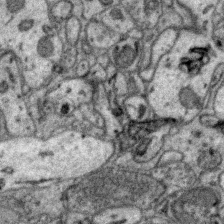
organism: Zebra finch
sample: Brain